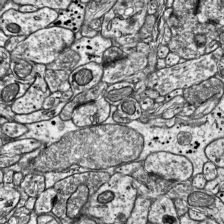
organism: Mouse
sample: Visual Cortex